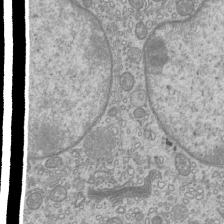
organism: Mouse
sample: Cilia; mouse epididymis